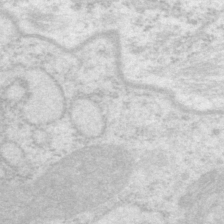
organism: P. pacificus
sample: Pharynx